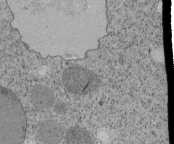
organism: Tetrahymena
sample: Cilia in tetrahymena